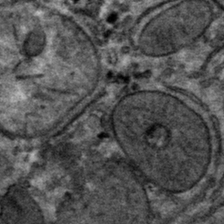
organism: Mouse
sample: Mouse hepatocytes